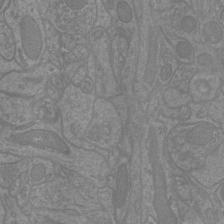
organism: Mouse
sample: Cortical neurons